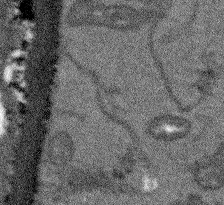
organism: Arabidopsis thaliana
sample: Root tip